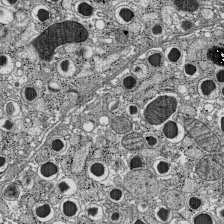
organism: C57BL Mouse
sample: Pancreatic islet